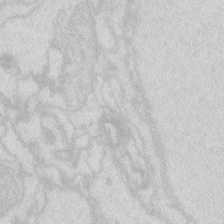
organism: Zebrafish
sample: Macrophage